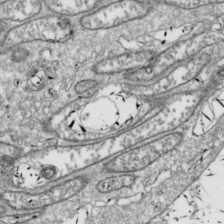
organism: Drosophila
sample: Cell division; meiosis; drosophila spermatocytes